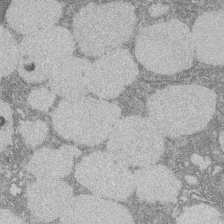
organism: Rat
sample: Salivary granule